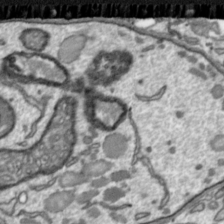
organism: Toxoplasma gondii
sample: Parasites in a vacuole inside a host cell